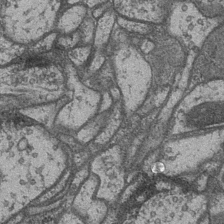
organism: Drosophila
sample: Optic medulla